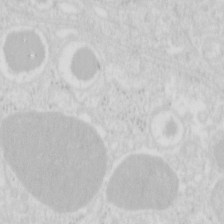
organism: Mouse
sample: Pancreas